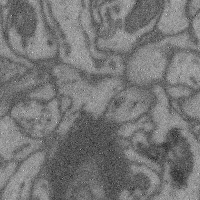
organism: Mouse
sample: Cerebral cortex